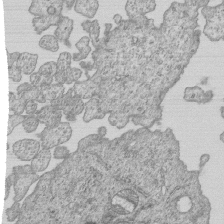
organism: Human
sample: MDA-MB-231 cells